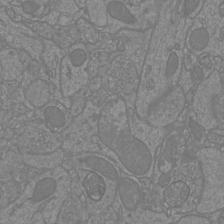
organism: Mouse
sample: Cortical neurons